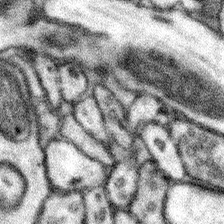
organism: Mouse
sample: Somatosensory cortex neuropil